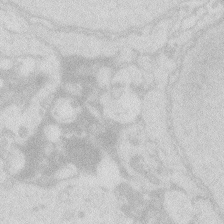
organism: Zebrafish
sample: Macrophage